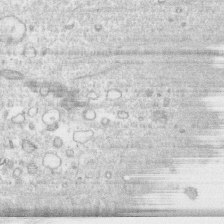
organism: Human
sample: CRL-1474